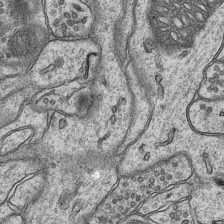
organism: Mouse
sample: CA1 Hippocampus